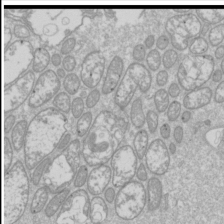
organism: Drosophila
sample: Cell division; meiosis; drosophila spermatocytes